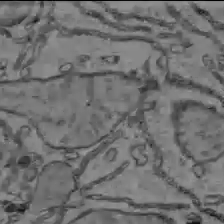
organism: C57BL Mouse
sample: Liver